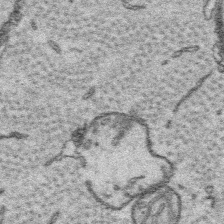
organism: Platynereis dumerilii